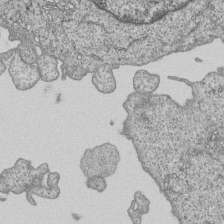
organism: Human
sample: MDA-MB-231 cells